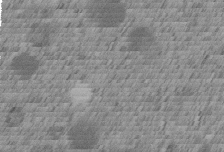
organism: C. elegans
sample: C. elegans embryo early stage